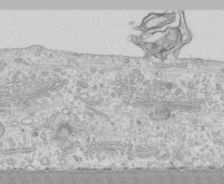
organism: Human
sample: CRL-1474